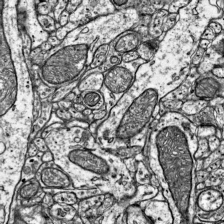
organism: Mouse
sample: Visual Cortex